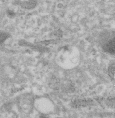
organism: Human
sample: Centriole in RPE cells